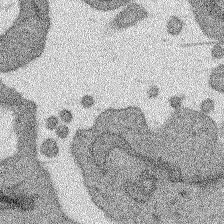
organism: Human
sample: HeLa cells